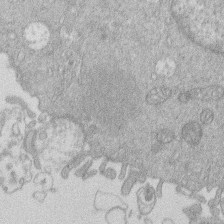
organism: Human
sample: Macrophage cells